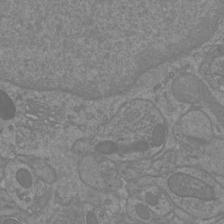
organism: Mouse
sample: Cortical neurons